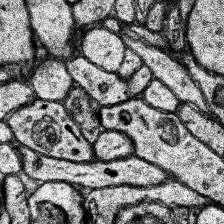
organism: Human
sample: Temporal Lobe